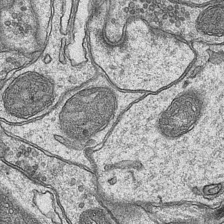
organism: Mouse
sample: CA1 Hippocampus